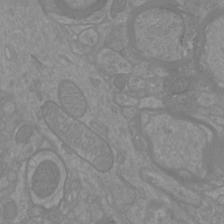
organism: Mouse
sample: Cortical neurons